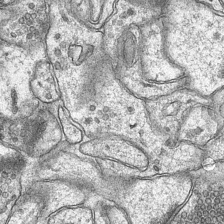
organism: Mouse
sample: CA1 Hippocampus